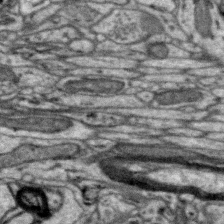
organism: Zebra finch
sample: Brain